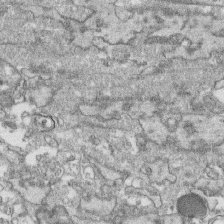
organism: Human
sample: CRL-1474